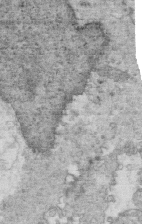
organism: Mouse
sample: Multiciliated cells